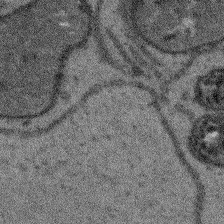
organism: Arabidopsis thaliana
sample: Root tip